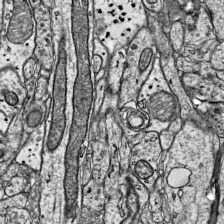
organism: Mouse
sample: Visual Cortex